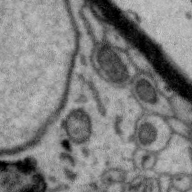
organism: Zebra finch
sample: Brain